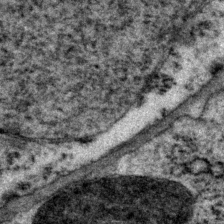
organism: P. pacificus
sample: Pharynx